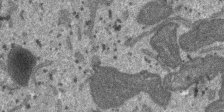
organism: Human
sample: Lung epithelial cells infected with SARS-CoV-2